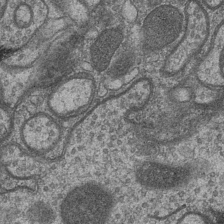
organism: Drosophila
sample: Optic medulla